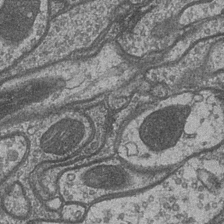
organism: Drosophila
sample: Optic medulla